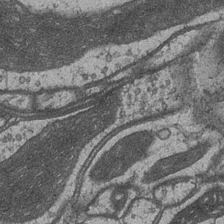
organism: Drosophila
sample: Optic medulla